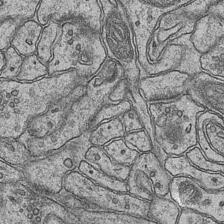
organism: Mouse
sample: CA1 Hippocampus